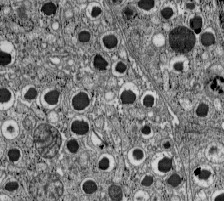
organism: C57BL Mouse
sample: Pancreatic islet